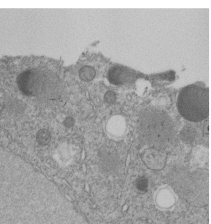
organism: C. elegans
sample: C. elegans embryo early stage